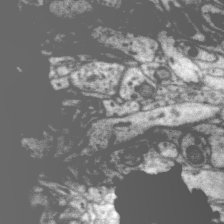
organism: Zebra finch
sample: Brain